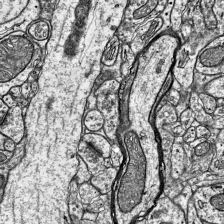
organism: Mouse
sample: Visual Cortex